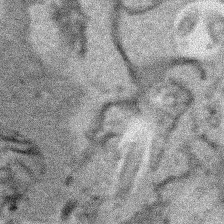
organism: Human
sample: Mitochondria in HCT116 cells